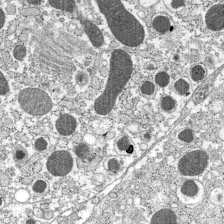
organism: C57BL Mouse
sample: Pancreatic islet